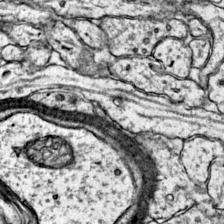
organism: Mouse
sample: Primary visual cortex